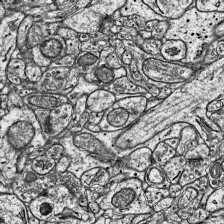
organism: Mouse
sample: Visual Cortex